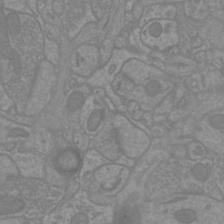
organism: Mouse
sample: Cortical neurons